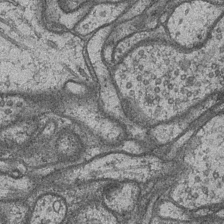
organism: Drosophila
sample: Optic medulla